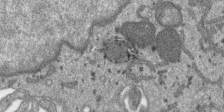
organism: Human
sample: Lung epithelial cells infected with SARS-CoV-2